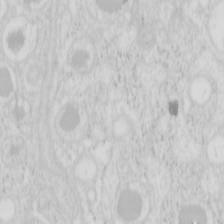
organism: Mouse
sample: Pancreas